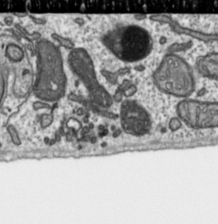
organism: Toxoplasma gondii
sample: Parasites in a vacuole inside a host cell